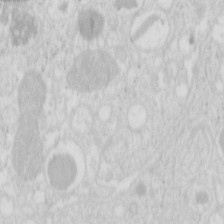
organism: Mouse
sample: Pancreas